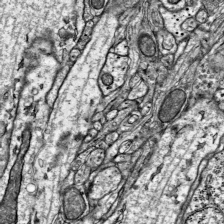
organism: Mouse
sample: Visual Cortex